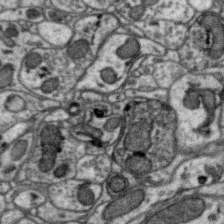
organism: Zebra finch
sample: Brain